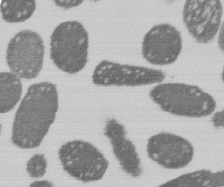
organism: E. coli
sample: Bacterial nucleoid